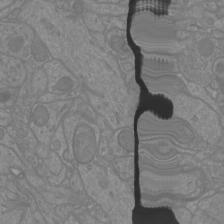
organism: Mouse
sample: Cortical neurons